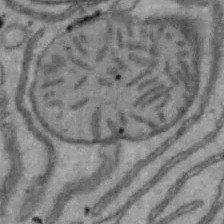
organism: Mouse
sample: Liver